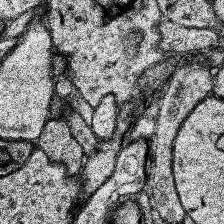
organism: Human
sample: Temporal Lobe